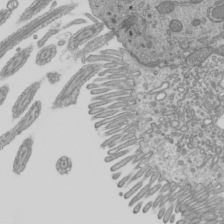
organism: Mouse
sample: Cilia; mouse epididymis